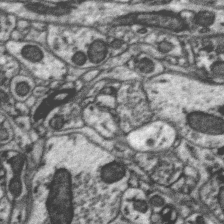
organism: Zebra finch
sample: Brain